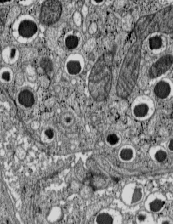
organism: C57BL Mouse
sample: Pancreatic islet